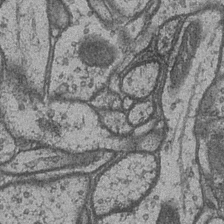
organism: Drosophila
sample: Optic medulla